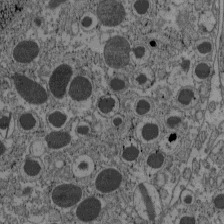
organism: C57BL Mouse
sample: Pancreatic islet